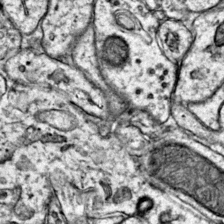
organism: Mouse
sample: Primary visual cortex